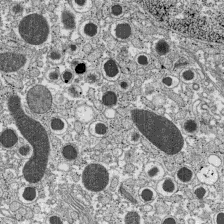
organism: C57BL Mouse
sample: Pancreatic islet